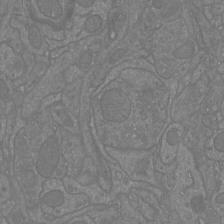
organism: Mouse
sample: Cortical neurons